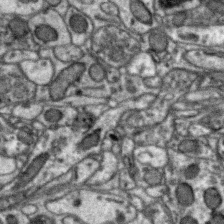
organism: Zebra finch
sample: Brain